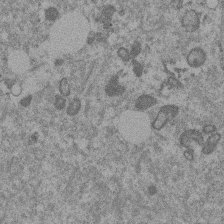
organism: Mouse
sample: Dividing mouse embryo 1 cell stage